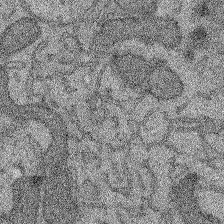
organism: Human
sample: HeLa cells